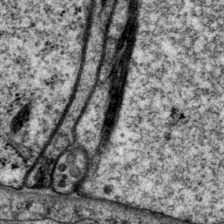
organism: P. pacificus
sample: Pharynx